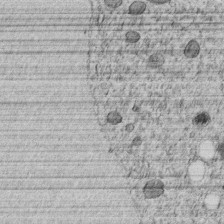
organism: C. elegans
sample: C. elegans embryo early stage